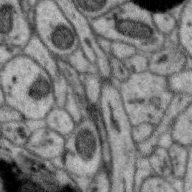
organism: Zebra finch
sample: Brain